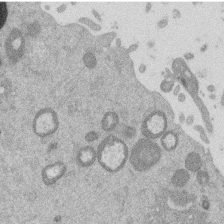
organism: Mouse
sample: Dividing mouse embryo 1 cell stage